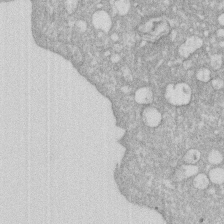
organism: Human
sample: HIV infected U937 cells